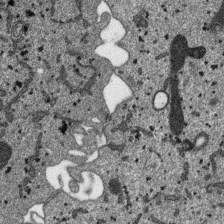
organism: Human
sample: Lung epithelial cells infected with SARS-CoV-2